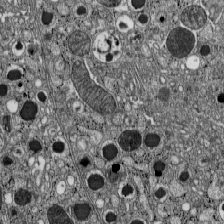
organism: C57BL Mouse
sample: Pancreatic islet